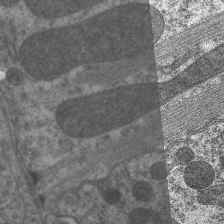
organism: C. elegans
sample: Pharynx